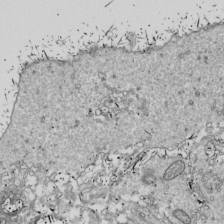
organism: Drosophila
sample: Cell division; meiosis; drosophila spermatocytes